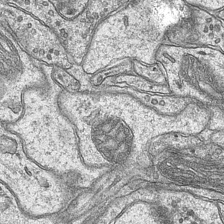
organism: Mouse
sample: CA1 Hippocampus